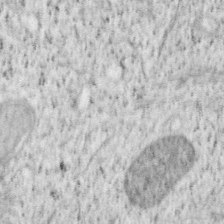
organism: Mouse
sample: OT-I killer T cells with ID8 ovarian cancer cells